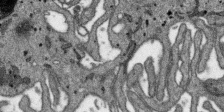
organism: Human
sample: Lung epithelial cells, uninfected (mock) control